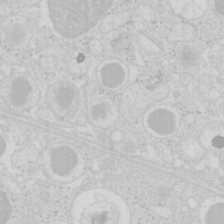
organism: Mouse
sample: Pancreas